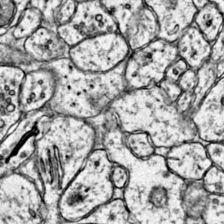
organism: Mouse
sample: Primary visual cortex